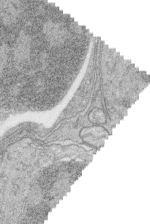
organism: Zebrafish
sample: synaptic ribbons in rod cells and cone cells